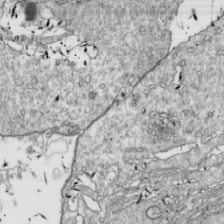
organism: Drosophila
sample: Cell division; meiosis; drosophila spermatocytes